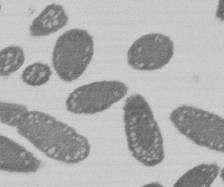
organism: E. coli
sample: Bacterial nucleoid